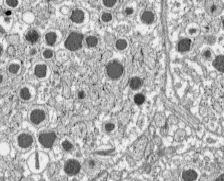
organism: C57BL Mouse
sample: Pancreatic islet